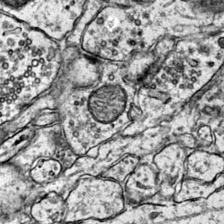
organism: Mouse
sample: Primary visual cortex